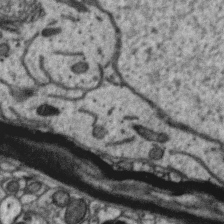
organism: Zebra finch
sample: Brain